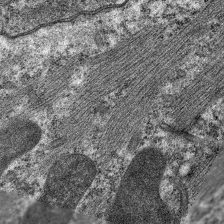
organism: C. elegans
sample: Pharynx